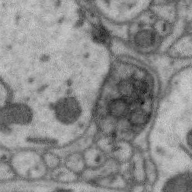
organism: Zebra finch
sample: Brain